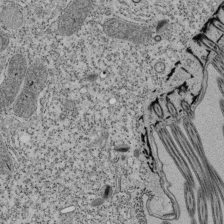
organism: Tetrahymena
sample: Cilia in tetrahymena